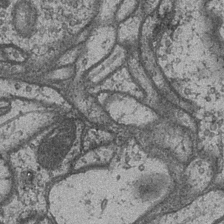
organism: Drosophila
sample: Optic medulla